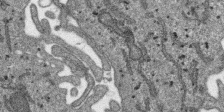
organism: Human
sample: Lung epithelial cells infected with SARS-CoV-2